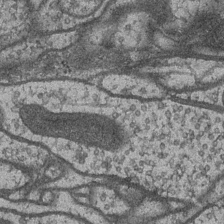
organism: Drosophila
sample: Optic medulla